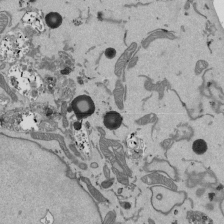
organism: Mouse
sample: ED-1 cell nuclei; centrioles